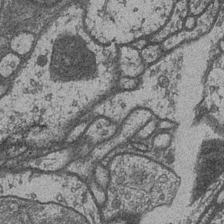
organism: Drosophila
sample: Optic medulla